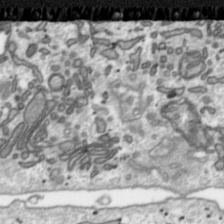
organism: Toxoplasma gondii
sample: Parasites in a vacuole inside a host cell